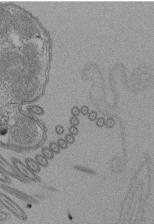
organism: Tetrahymena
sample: Cilia in tetrahymena